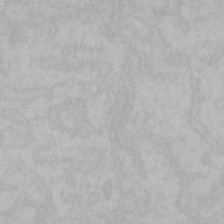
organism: Mouse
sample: Choroid plexus